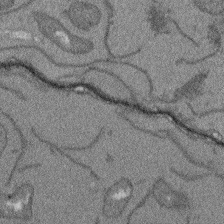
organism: Arabidopsis thaliana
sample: Root tip